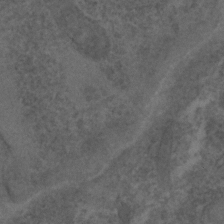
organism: C. elegans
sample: C. elegans embryo